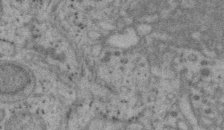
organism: Human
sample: HeLa cells